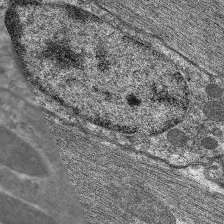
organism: C. elegans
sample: Pharynx